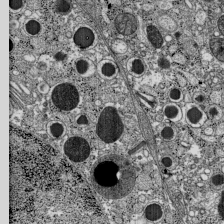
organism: C57BL Mouse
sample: Pancreatic islet